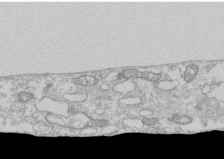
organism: Human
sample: CRL-1474